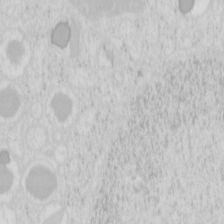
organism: Mouse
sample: Pancreas